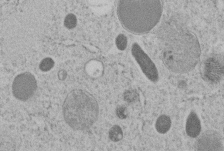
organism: C. elegans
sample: C. elegans embryo early stage